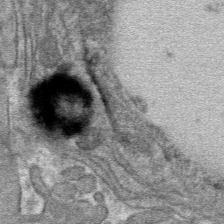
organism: Mouse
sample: Mouse hepatocytes